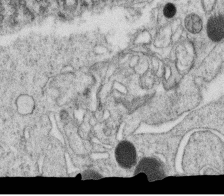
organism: C. elegans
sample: C. elegans oocyte; sperm cells